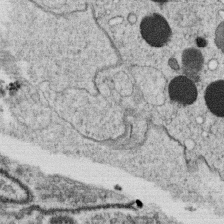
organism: C. elegans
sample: C. elegans oocyte; sperm cells